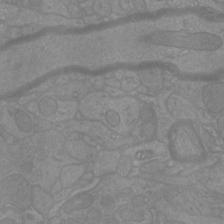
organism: Mouse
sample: Cortical neurons